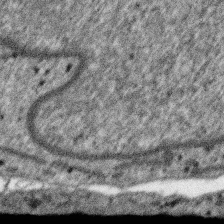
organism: Human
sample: Lung epithelial cells infected with SARS-CoV-2